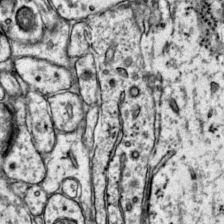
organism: Mouse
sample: Primary visual cortex